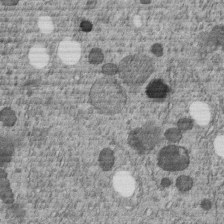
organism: C. elegans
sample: C. elegans embryo early stage